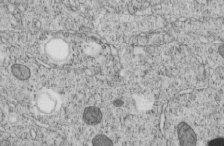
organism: C. elegans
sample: C. elegans embryo early stage